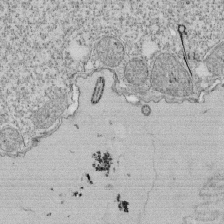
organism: Tetrahymena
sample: Cilia in tetrahymena